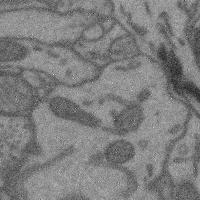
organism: Mouse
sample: Cerebral cortex